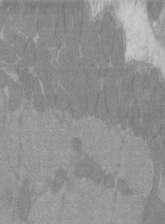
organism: C57BL Mouse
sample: Tibialis anterior muscle cell